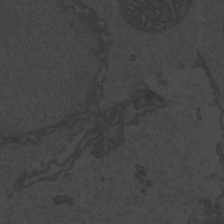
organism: Zebrafish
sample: Macrophage infected with Toxoplasma gondii